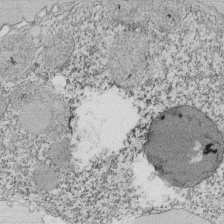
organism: Tetrahymena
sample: Cilia in tetrahymena